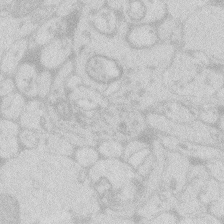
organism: Zebrafish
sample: Macrophage